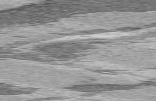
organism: C57BL Mouse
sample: Heart